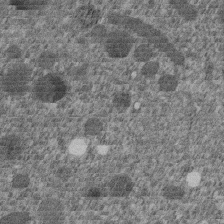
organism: C. elegans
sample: C. elegans embryo early stage